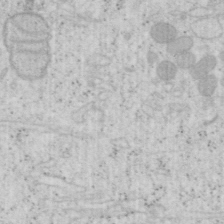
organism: Human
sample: HeLa cells